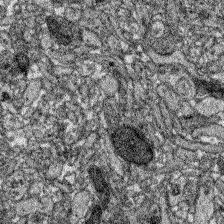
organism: Zebrafish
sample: Larval olfactory bulb